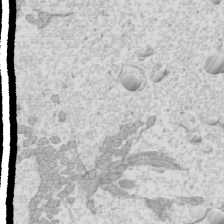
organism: Mouse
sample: Cilia; mouse epididymis